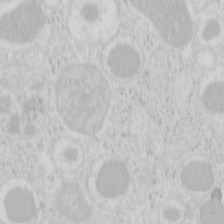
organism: Mouse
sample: Pancreas